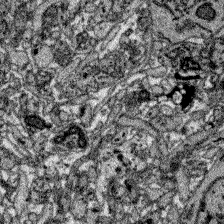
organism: Zebrafish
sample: Larval olfactory bulb